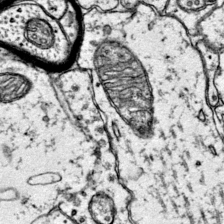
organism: Mouse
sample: Primary visual cortex